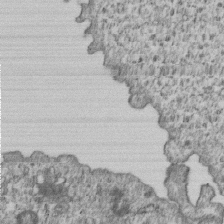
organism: Human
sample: MDA-MB-231 cells